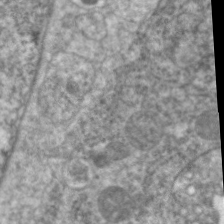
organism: C. elegans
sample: Pharynx